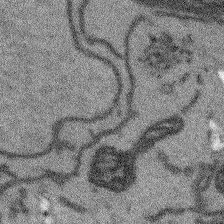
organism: Arabidopsis thaliana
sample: Root tip